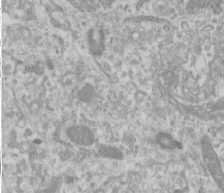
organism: Human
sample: Cilia; basal body in RPE cells